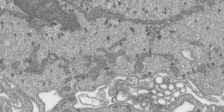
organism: Human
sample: Lung epithelial cells infected with SARS-CoV-2